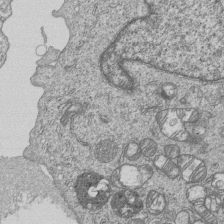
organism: Human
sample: MDA-MB-231 cells